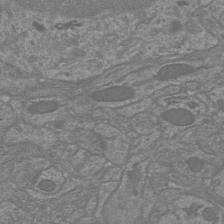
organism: Mouse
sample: Cortical neurons